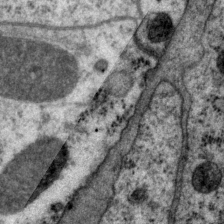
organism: P. pacificus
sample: Pharynx